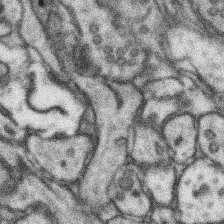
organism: Mouse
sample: Somatosensory cortex neuropil